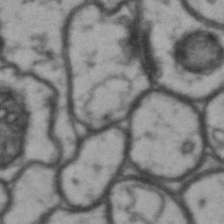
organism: Drosophila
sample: Brain